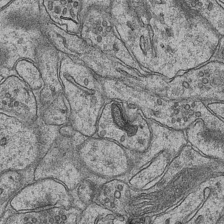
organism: Mouse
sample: CA1 Hippocampus